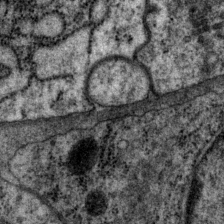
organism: P. pacificus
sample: Pharynx